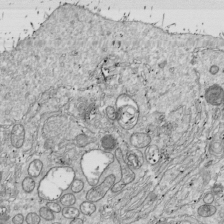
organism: Drosophila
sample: Cell division; meiosis; drosophila spermatocytes